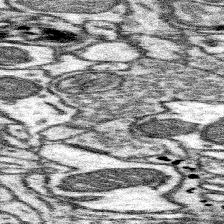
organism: Mouse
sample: Somatosensory cortex neuropil